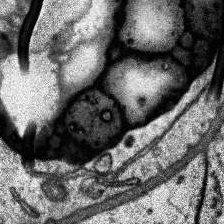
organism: Human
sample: Temporal Lobe